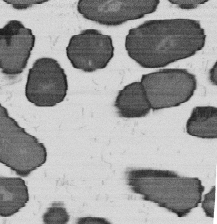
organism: B. subtilis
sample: Bacterial spore